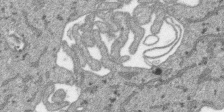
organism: Human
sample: Lung epithelial cells infected with SARS-CoV-2